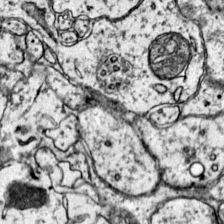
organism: Mouse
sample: Primary visual cortex